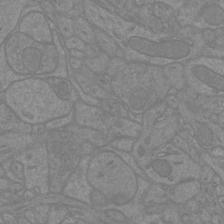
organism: Mouse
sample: Cortical neurons